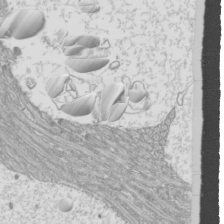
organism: Mouse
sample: Cilia; mouse epididymis